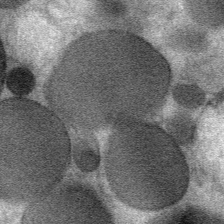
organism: Mouse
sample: Mouse Salivary gland